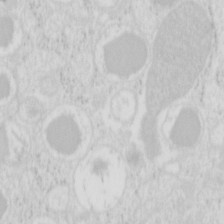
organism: Mouse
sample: Pancreas